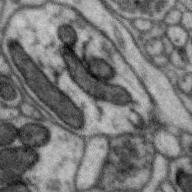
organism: Zebra finch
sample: Brain